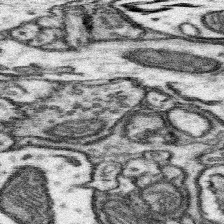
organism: Mouse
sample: Somatosensory cortex neuropil